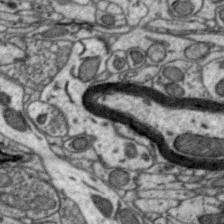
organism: Zebra finch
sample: Brain